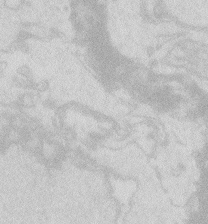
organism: Zebrafish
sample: Macrophage